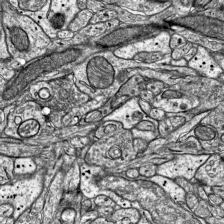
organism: Mouse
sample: Visual Cortex